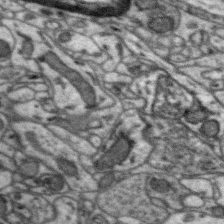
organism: Zebra finch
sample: Brain